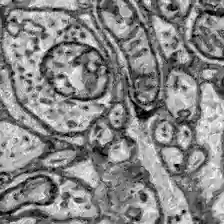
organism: Zebrafish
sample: Brain